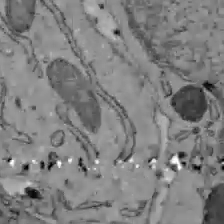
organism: C57BL Mouse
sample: Liver